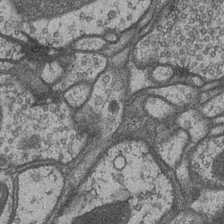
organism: Drosophila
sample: Optic medulla